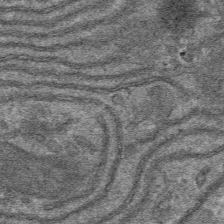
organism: Mouse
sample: Mouse hepatocytes